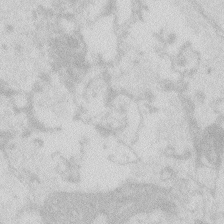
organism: Zebrafish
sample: Macrophage